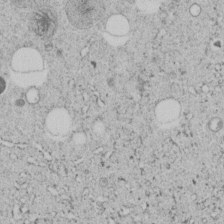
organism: C. elegans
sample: C. elegans embryo early stage